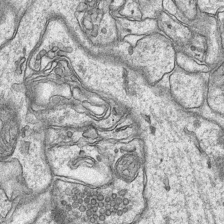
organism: Mouse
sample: CA1 Hippocampus